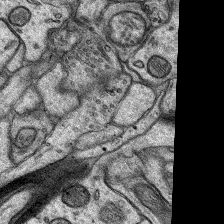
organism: Rat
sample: Hippocampus